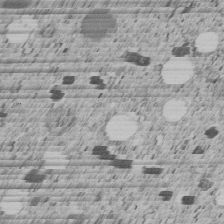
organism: C. elegans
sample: C. elegans embryo early stage